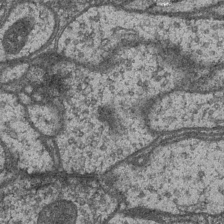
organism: Drosophila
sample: Optic medulla